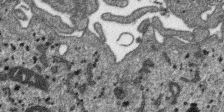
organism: Human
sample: Lung epithelial cells infected with SARS-CoV-2